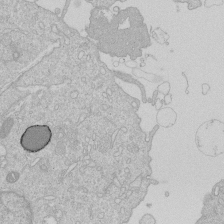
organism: Human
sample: Macrophage cells